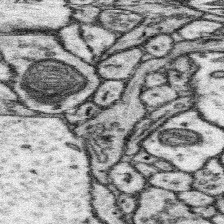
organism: Mouse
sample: Somatosensory cortex neuropil